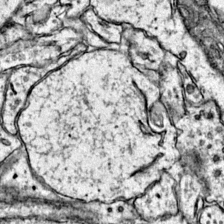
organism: Mouse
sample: Primary visual cortex